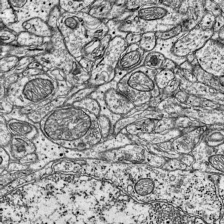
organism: Mouse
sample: Visual Cortex